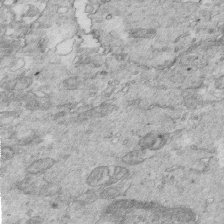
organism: Mouse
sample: Multiciliated cells